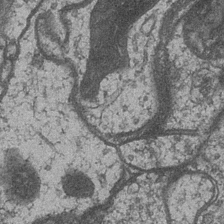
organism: Drosophila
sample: Optic medulla